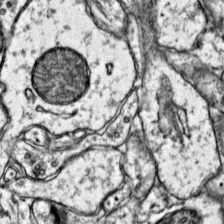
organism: Mouse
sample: Primary visual cortex